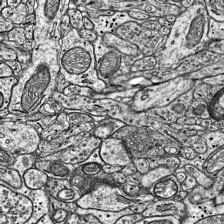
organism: Mouse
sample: Visual Cortex